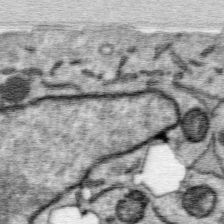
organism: Human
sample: HeLa cells